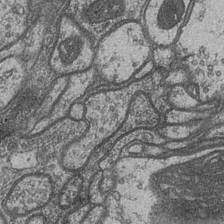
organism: Drosophila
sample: Optic medulla